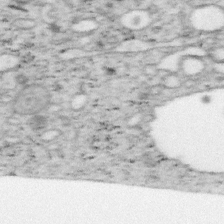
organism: Mouse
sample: OT-I killer T cells with ID8 ovarian cancer cells